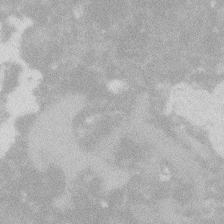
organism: Zebrafish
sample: Macrophage